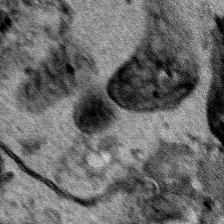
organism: Human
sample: Mitochondria in HCT116 cells